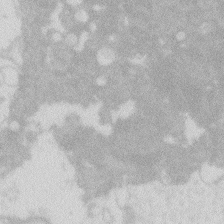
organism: Zebrafish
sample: Macrophage